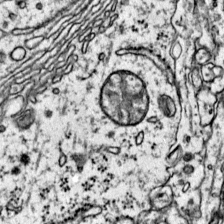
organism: Mouse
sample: Primary visual cortex